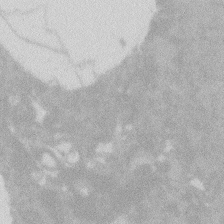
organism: Zebrafish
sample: Macrophage